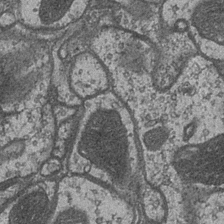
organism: Drosophila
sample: Optic medulla